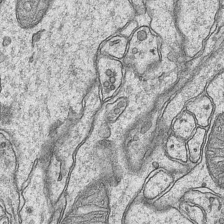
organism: Mouse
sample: CA1 Hippocampus